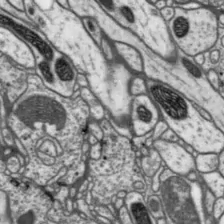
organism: Drosophila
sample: Protocerebral bridge